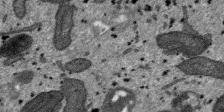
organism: Human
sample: Lung epithelial cells, uninfected (mock) control